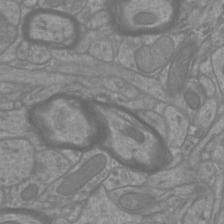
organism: Mouse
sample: Cortical neurons